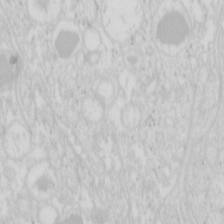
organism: Mouse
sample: Pancreas